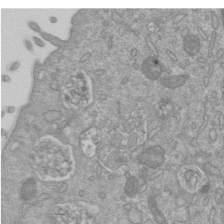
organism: Mouse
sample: ED-1 cell nuclei; centrioles